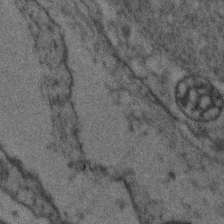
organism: Zebrafish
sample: Zebrafish embryo